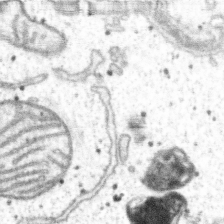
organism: Human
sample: HeLa cells